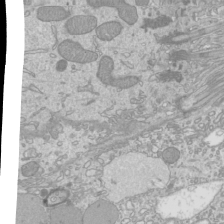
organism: Mouse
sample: Cilia; mouse epididymis